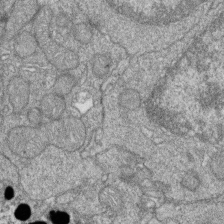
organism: Zebrafish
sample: Cilia; retinal pigment epithelium